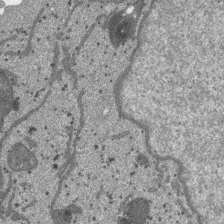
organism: Human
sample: Lung epithelial cells infected with SARS-CoV-2